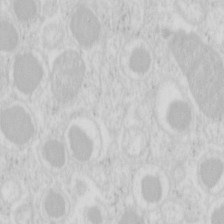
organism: Mouse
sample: Pancreas